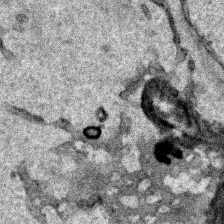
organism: Human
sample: Mitochondria in HCT116 cells